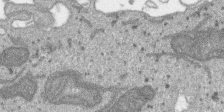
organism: Human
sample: Lung epithelial cells infected with SARS-CoV-2